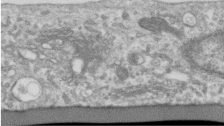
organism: Human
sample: Centriole in RPE cells